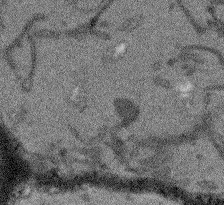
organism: Arabidopsis thaliana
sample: Root tip